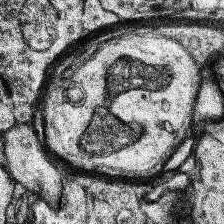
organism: Human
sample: Temporal Lobe